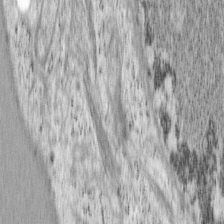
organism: Human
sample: HeLa cells